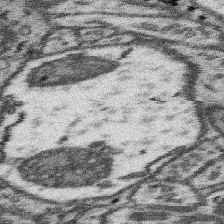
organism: Mouse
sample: Somatosensory cortex neuropil